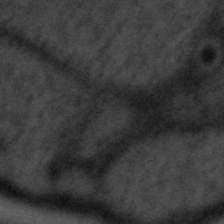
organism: Tuwongella immobilis